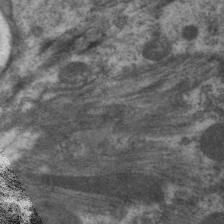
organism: C. elegans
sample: Pharynx